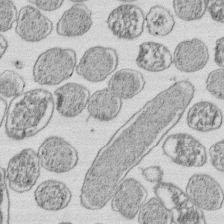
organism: E. coli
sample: Bacterial nucleoid